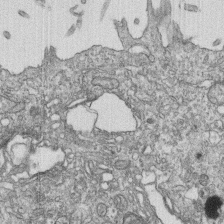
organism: Human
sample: HeLa cell HIV synapse